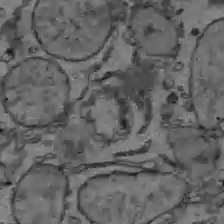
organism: C57BL Mouse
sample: Liver